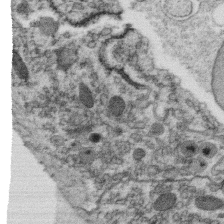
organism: C. elegans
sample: C. elegans oocyte; sperm cells